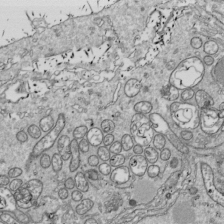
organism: Drosophila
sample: Cell division; meiosis; drosophila spermatocytes